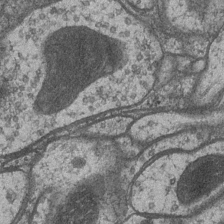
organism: Drosophila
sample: Optic medulla